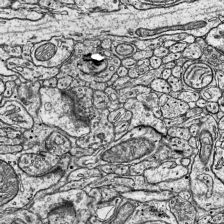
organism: Mouse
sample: Visual Cortex